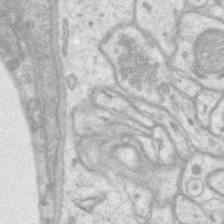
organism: Mouse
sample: CA1 Hippocampus